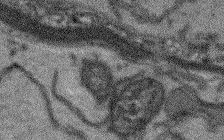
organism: Arabidopsis thaliana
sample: Root tip